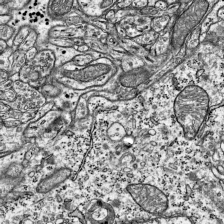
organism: Mouse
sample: Visual Cortex